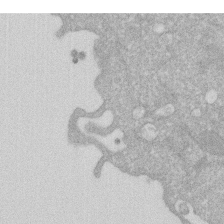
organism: Human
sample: HIV infected U937 cells